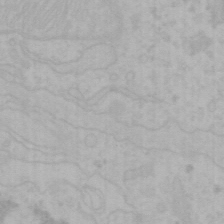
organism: Mouse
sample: Choroid plexus